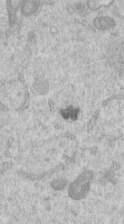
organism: Human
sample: Centriole in RPE cells